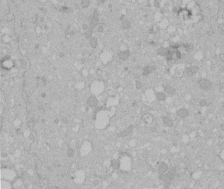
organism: Human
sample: Melanocyte Keratinocyte synapse skin construct